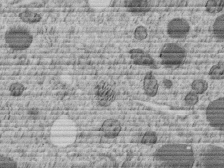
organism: C. elegans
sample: C. elegans embryo early stage